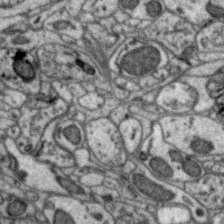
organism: Zebra finch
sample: Brain